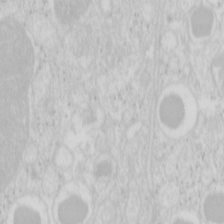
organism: Mouse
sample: Pancreas